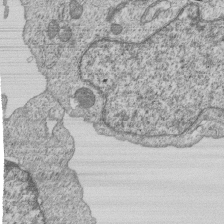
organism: Human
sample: MDA-MB-231 cells